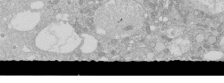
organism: Human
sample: Caco-2 cells